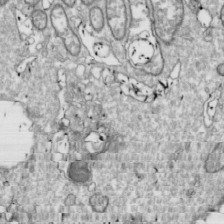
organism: Drosophila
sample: Cell division; meiosis; drosophila spermatocytes